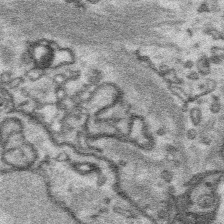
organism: Platynereis dumerilii